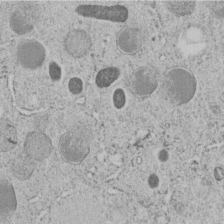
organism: C. elegans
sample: C. elegans embryo early stage